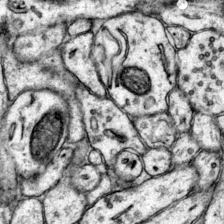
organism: Mouse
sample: Primary visual cortex